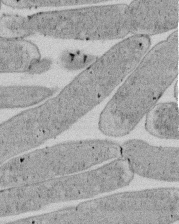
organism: E. coli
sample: Bacterial nucleoid